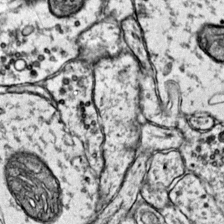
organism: Mouse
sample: Primary visual cortex